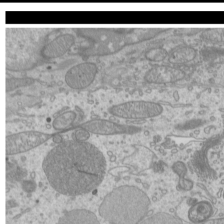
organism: Mouse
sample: Cilia; mouse epididymis